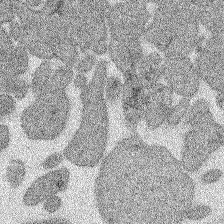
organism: Human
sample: HeLa cells